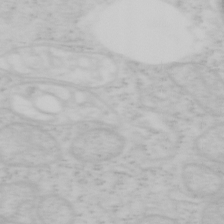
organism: Mouse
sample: OT-I killer T cells with ID8 ovarian cancer cells